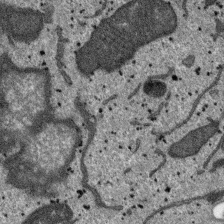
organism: Human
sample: Lung epithelial cells, uninfected (mock) control